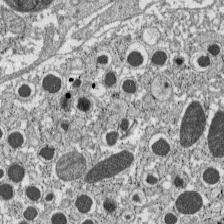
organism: C57BL Mouse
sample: Pancreatic islet